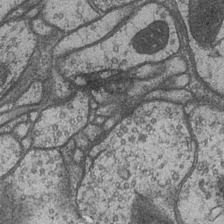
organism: Drosophila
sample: Optic medulla